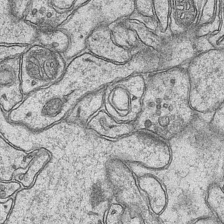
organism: Mouse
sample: CA1 Hippocampus